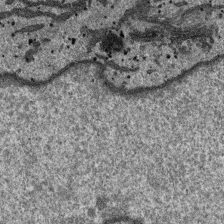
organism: Human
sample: Lung epithelial cells, uninfected (mock) control